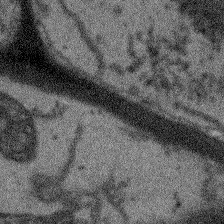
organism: Arabidopsis thaliana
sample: Root tip